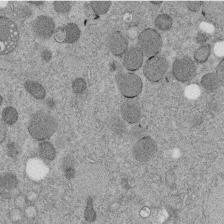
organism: C. elegans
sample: C. elegans embryo early stage